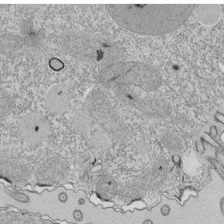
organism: Tetrahymena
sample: Cilia in tetrahymena